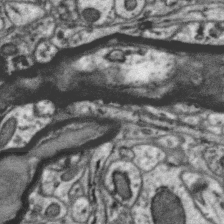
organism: Zebra finch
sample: Brain